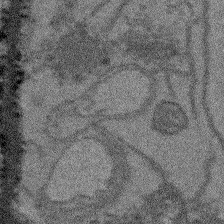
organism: Arabidopsis thaliana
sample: Root tip